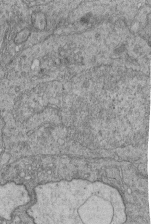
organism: Human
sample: Retinal organoid Rod and Cone cells